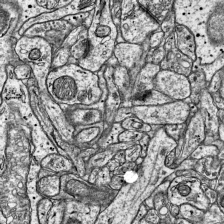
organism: Mouse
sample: Visual Cortex